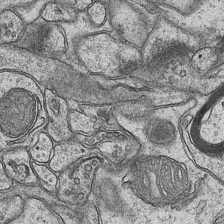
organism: Mouse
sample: CA1 Hippocampus